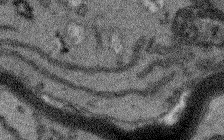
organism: Arabidopsis thaliana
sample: Root tip